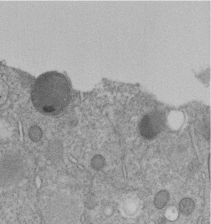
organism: C. elegans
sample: C. elegans embryo early stage